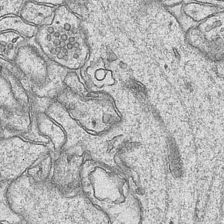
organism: Mouse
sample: CA1 Hippocampus